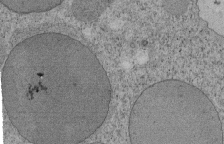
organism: Tetrahymena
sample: Cilia in tetrahymena